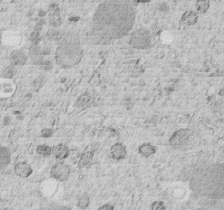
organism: C. elegans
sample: C. elegans embryo early stage